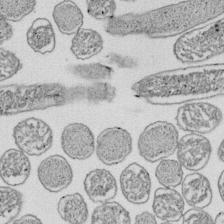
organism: E. coli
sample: Bacterial nucleoid